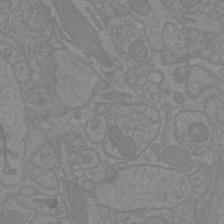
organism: Mouse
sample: Cortical neurons